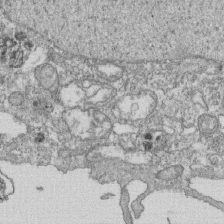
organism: Human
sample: HeLa cell HIV synapse